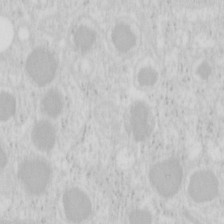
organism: Mouse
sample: Pancreas